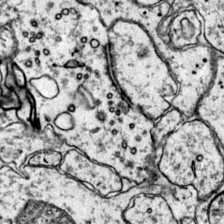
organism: Mouse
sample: Primary visual cortex